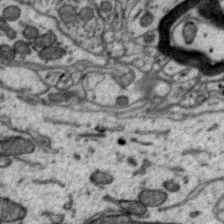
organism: Zebra finch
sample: Brain